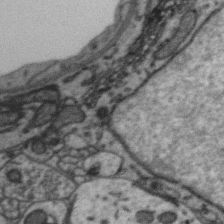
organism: Zebra finch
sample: Brain